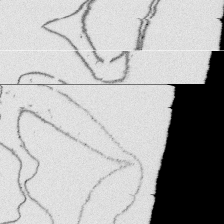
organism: Platynereis dumerilii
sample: Parapodia